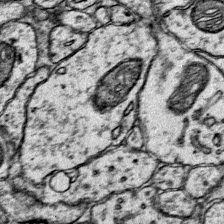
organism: Mouse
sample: Primary visual cortex